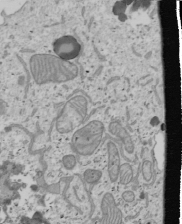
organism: Human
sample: Mitochondria in U2OS cells